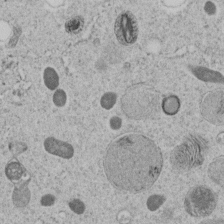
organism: C. elegans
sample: C. elegans embryo early stage